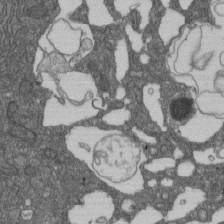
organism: Drosophila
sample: Nephrocyte